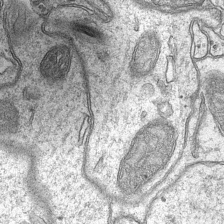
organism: Mouse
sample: CA1 Hippocampus